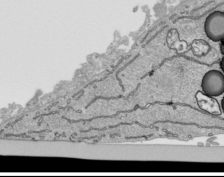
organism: Human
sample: Mitochondria in HCT116 cells